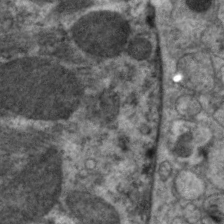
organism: C. elegans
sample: Pharynx